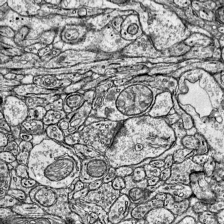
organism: Mouse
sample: Visual Cortex